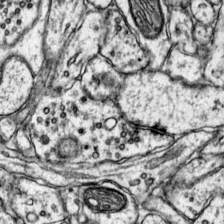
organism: Mouse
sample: Primary visual cortex